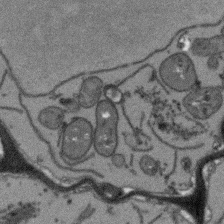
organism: Arabidopsis thaliana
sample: Root tip